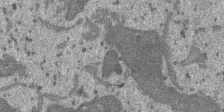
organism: Human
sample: Lung epithelial cells infected with SARS-CoV-2